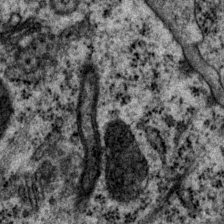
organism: P. pacificus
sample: Pharynx